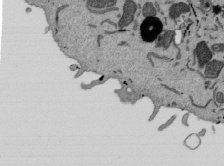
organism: Mouse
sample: ED-1 cell nuclei; centrioles